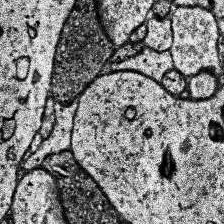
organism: Human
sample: Temporal Lobe